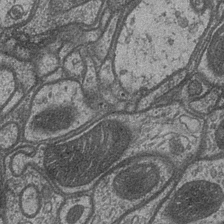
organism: Drosophila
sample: Optic medulla